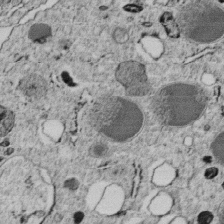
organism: C. elegans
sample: C. elegans embryo early stage